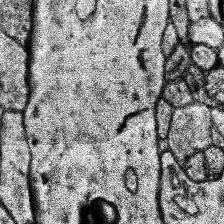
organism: Human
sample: Temporal Lobe